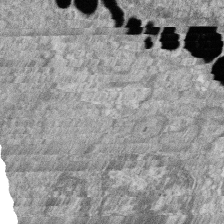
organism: Zebrafish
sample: Cilia; retinal pigment epithelium